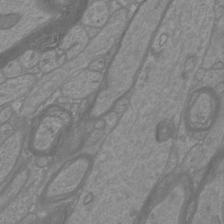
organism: Mouse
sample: Cortical neurons